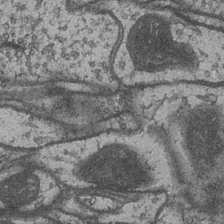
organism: Drosophila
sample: Optic medulla